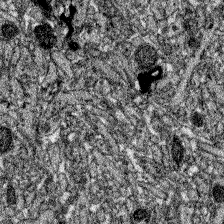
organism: Zebrafish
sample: Larval olfactory bulb